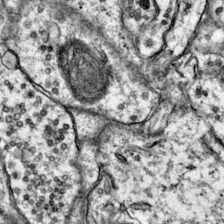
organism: Mouse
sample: Primary visual cortex